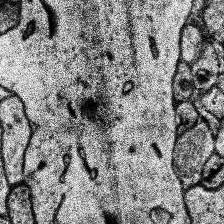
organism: Human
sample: Temporal Lobe